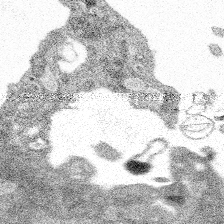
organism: Spongilla lacustris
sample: Multiple